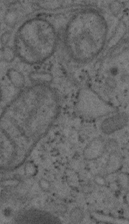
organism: Human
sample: HeLa cells